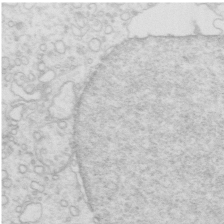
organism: Mouse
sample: Multiciliated cells